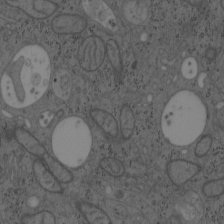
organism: Mouse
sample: OT-I killer T cells with ID8 ovarian cancer cells